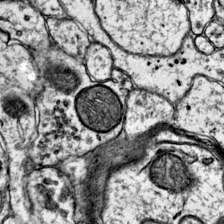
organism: Mouse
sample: Primary visual cortex